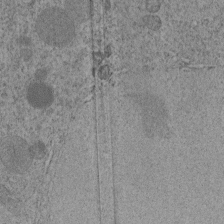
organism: C. elegans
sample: C. elegans embryo early stage